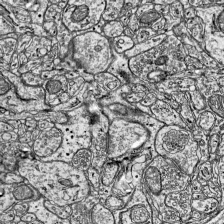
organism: Mouse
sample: Visual Cortex